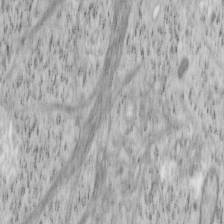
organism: Human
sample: HeLa cells